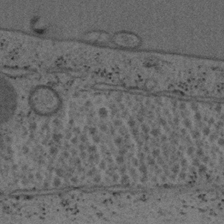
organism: Human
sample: HeLa cells